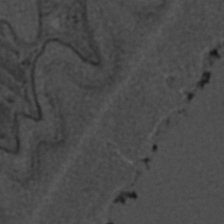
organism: C. elegans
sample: C. elegans embryo